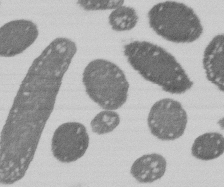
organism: E. coli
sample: Bacterial nucleoid